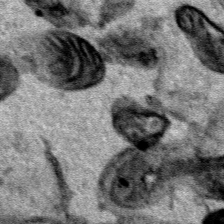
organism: Human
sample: Mitochondria in HCT116 cells